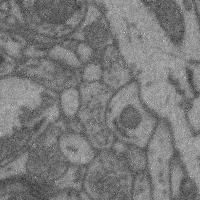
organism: Mouse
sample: Cerebral cortex